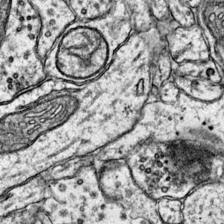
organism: Mouse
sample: Primary visual cortex